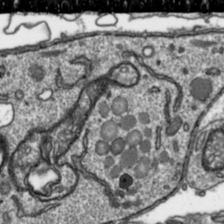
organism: Toxoplasma gondii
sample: Parasites in a vacuole inside a host cell